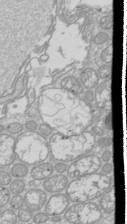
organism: Drosophila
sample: Cell division; meiosis; drosophila spermatocytes